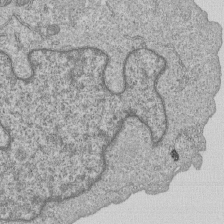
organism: Human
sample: MDA-MB-231 cells